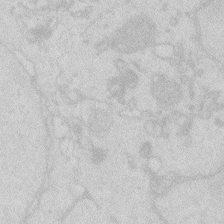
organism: Zebrafish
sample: Macrophage